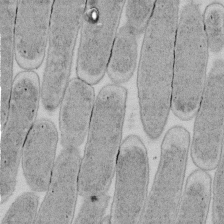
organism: E. coli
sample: Bacterial nucleoid